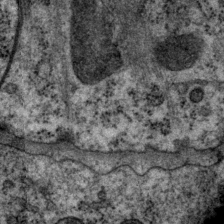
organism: P. pacificus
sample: Pharynx